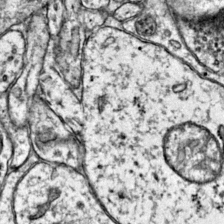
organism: Mouse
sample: Primary visual cortex